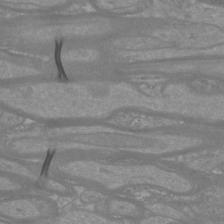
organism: Mouse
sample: Cortical neurons